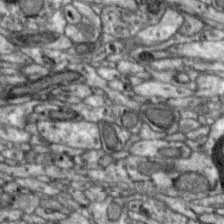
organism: Zebra finch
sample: Brain